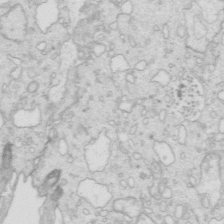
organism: Mouse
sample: Multiciliated cells